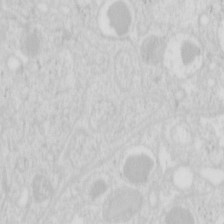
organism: Mouse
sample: Pancreas